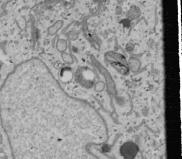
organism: Human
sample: Mitochondria in U2OS cells